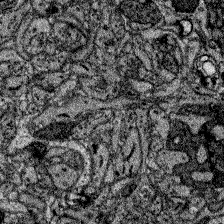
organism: Zebrafish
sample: Larval olfactory bulb